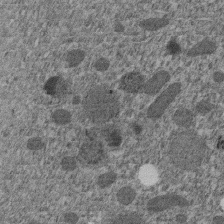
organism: C. elegans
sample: C. elegans embryo early stage